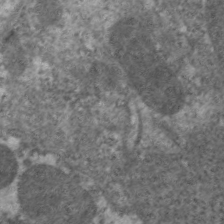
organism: C. elegans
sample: Pharynx